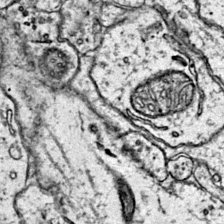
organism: Mouse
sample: Primary visual cortex